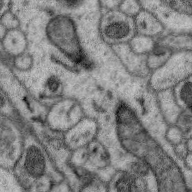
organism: Zebra finch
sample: Brain